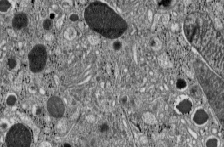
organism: C57BL Mouse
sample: Pancreatic islet